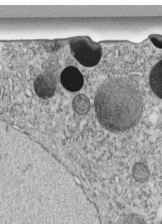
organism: C. elegans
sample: C. elegans embryo early stage